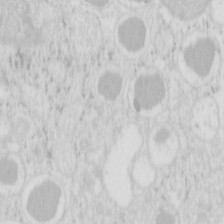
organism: Mouse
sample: Pancreas